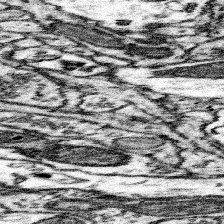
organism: Mouse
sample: Somatosensory cortex neuropil